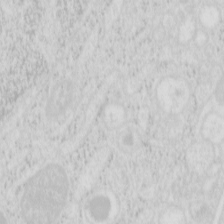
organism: Mouse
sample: Pancreas